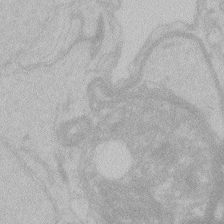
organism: Zebrafish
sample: Macrophage infected with Toxoplasma gondii